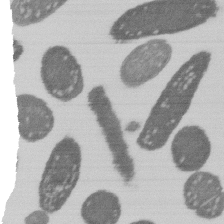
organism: E. coli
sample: Bacterial nucleoid